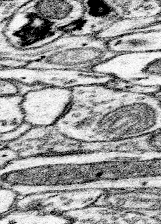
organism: Mouse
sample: Somatosensory cortex neuropil